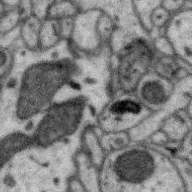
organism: Zebra finch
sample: Brain